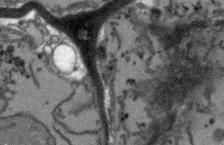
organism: Arabidopsis thaliana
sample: Root tip